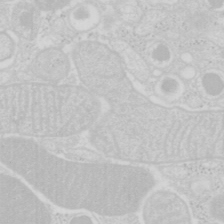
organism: Mouse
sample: Pancreas